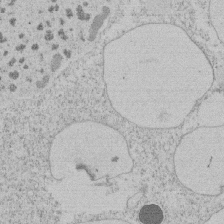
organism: Tetrahymena